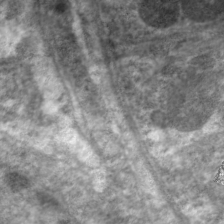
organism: C. elegans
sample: Pharynx